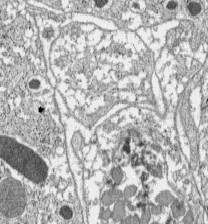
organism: C57BL Mouse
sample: Pancreatic islet